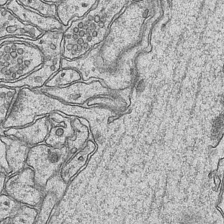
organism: Mouse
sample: CA1 Hippocampus